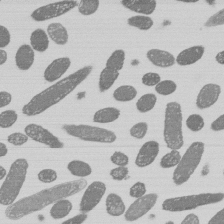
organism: E. coli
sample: Bacterial nucleoid